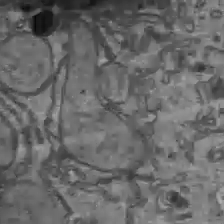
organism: C57BL Mouse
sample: Liver